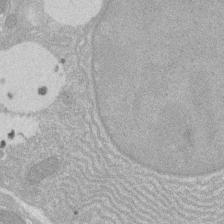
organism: Rat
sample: Salivary granule